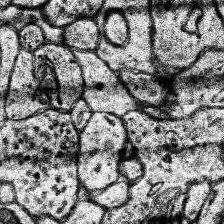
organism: Human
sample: Temporal Lobe